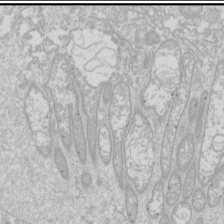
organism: Drosophila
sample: Cell division; meiosis; drosophila spermatocytes